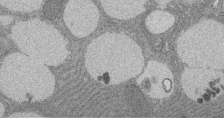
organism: Rat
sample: Salivary granule